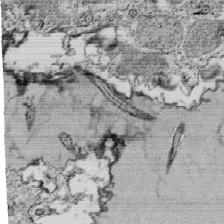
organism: Tetrahymena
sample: Cilia in tetrahymena